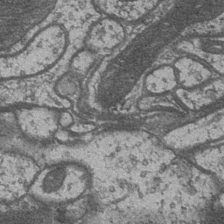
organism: Drosophila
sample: Optic medulla